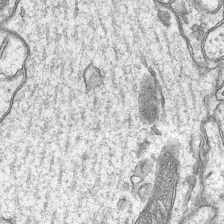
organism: Mouse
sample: CA1 Hippocampus